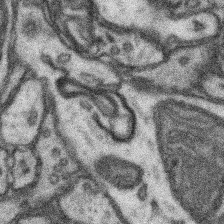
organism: Mouse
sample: Somatosensory cortex neuropil